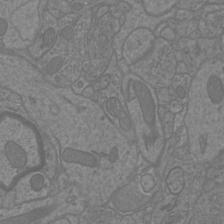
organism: Mouse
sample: Cortical neurons